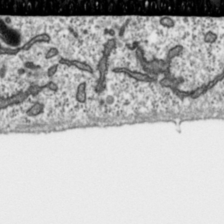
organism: Toxoplasma gondii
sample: Parasites in a vacuole inside a host cell